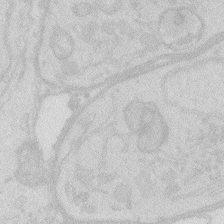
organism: Zebrafish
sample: Macrophage